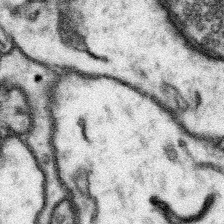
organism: Mouse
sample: Somatosensory cortex neuropil